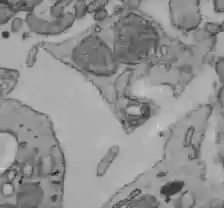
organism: C57BL Mouse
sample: Liver